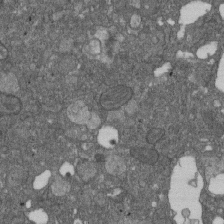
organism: Drosophila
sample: Nephrocyte